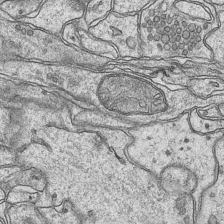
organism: Mouse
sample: CA1 Hippocampus